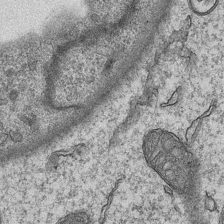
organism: Mouse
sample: CA1 Hippocampus